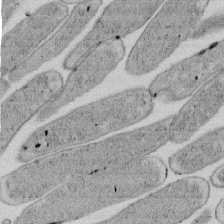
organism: E. coli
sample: Bacterial nucleoid